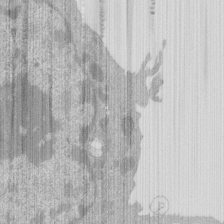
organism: Mouse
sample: Activated Pmel transgenic CD8+ T Cells